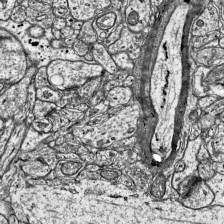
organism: Mouse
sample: Visual Cortex